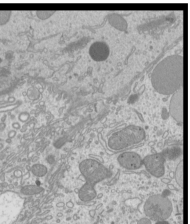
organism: Mouse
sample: Cilia; mouse epididymis